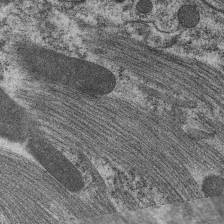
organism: C. elegans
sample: Pharynx